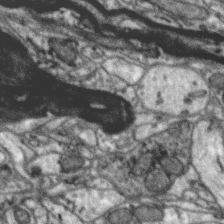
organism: Zebra finch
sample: Brain